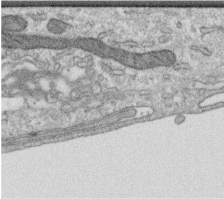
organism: Human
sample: Centriole in RPE cells